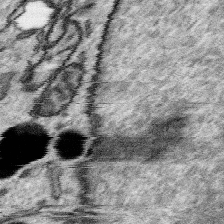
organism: Human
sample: HeLa cells